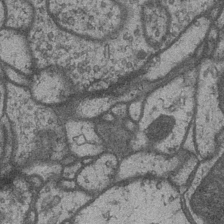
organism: Drosophila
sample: Optic medulla